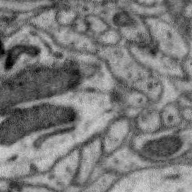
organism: Zebra finch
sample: Brain